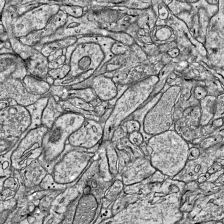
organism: Mouse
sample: Visual Cortex